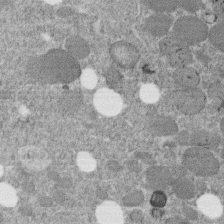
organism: C. elegans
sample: C. elegans embryo early stage